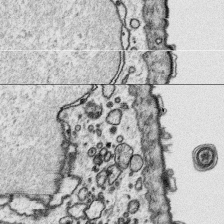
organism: Platynereis dumerilii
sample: Parapodia